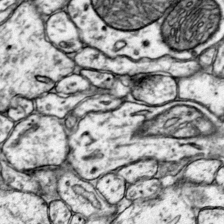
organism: Mouse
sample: Primary visual cortex